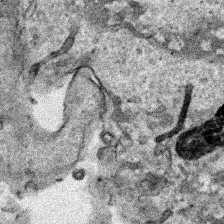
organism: Human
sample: Mitochondria in HCT116 cells